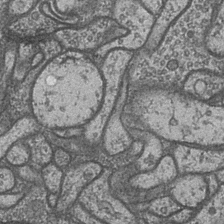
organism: Drosophila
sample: Optic medulla